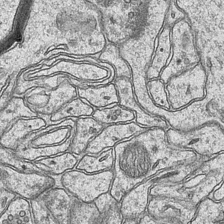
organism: Mouse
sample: CA1 Hippocampus